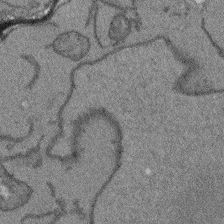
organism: Arabidopsis thaliana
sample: Root tip